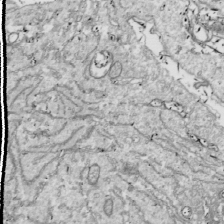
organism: Drosophila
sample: Cell division; meiosis; drosophila spermatocytes